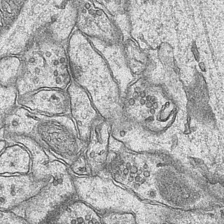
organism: Mouse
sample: CA1 Hippocampus